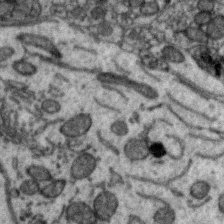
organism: Zebra finch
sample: Brain